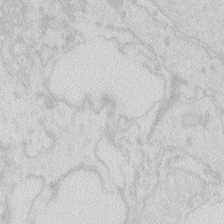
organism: Zebrafish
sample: Macrophage